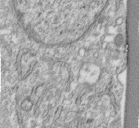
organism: Human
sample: Centriole in fibroblast cells